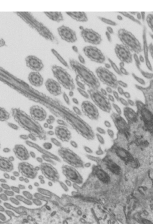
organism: Mouse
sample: Mouse epididymis efferent ductule cilia